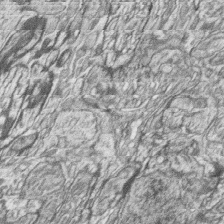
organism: Zebrafish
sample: synaptic ribbons in rod cells and cone cells